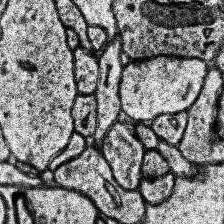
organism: Human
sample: Temporal Lobe